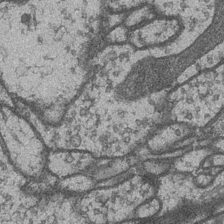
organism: Drosophila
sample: Optic medulla